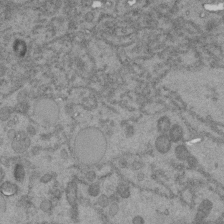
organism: C. elegans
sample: C. elegans embryo early stage